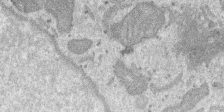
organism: Human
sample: Lung epithelial cells infected with SARS-CoV-2